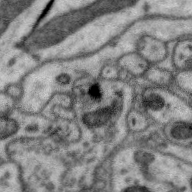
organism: Zebra finch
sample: Brain